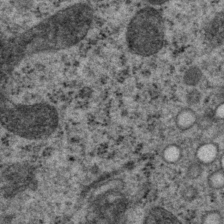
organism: P. pacificus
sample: Pharynx